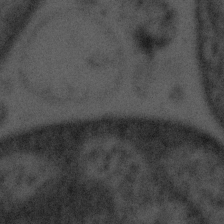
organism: Tuwongella immobilis